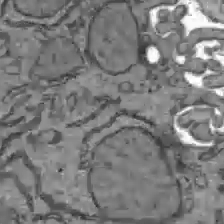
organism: C57BL Mouse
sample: Liver